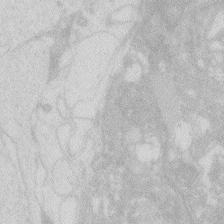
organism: Zebrafish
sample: Macrophage